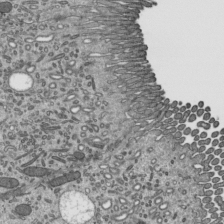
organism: Mouse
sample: Mouse epididymis efferent ductule cilia